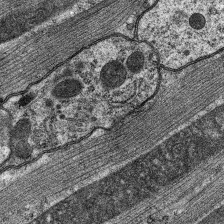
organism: C. elegans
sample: Pharynx